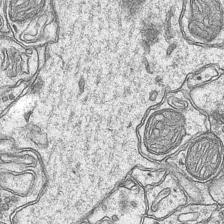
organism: Mouse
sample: CA1 Hippocampus